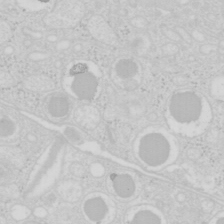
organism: Mouse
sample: Pancreas